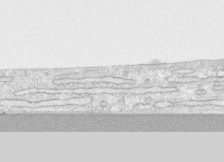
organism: Human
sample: CRL-1474